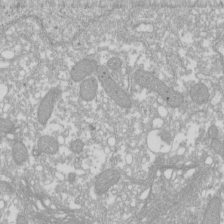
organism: Xenopus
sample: Cilia; centrioles in frog embryo cells